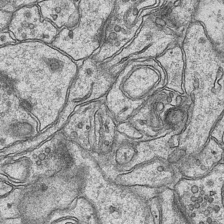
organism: Mouse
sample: CA1 Hippocampus